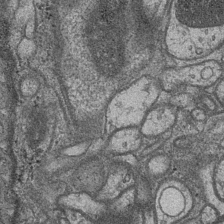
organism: Drosophila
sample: Optic medulla